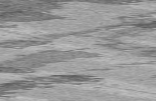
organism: C57BL Mouse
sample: Heart